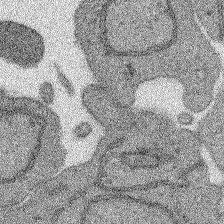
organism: Human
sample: HeLa cells